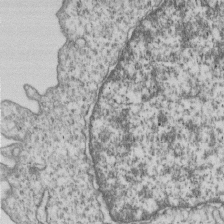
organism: Human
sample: MDA-MB-231 cells